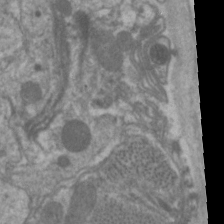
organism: C. elegans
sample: Pharynx